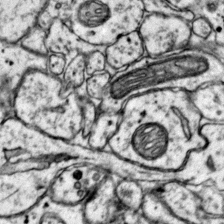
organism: Mouse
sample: Primary visual cortex